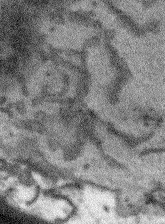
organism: Arabidopsis thaliana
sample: Root tip